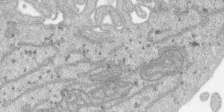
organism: Human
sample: Lung epithelial cells infected with SARS-CoV-2